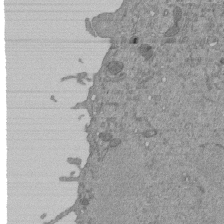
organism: Mouse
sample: ED-1 cell nuclei; centrioles